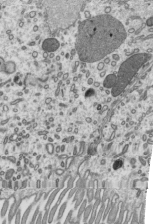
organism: Mouse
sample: Mouse epididymis efferent ductule cilia